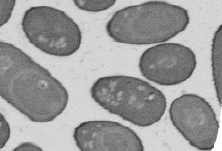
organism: B. subtilis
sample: Bacterial spore